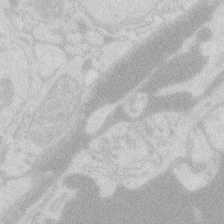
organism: Zebrafish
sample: Macrophage